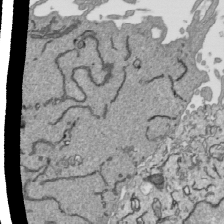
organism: Human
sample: Mitochondria in HCT116 cells